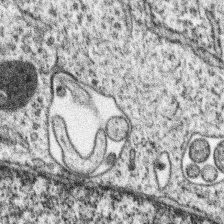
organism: Human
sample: HeLa cells